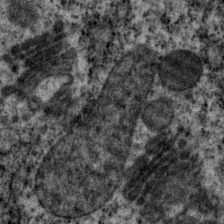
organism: P. pacificus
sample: Pharynx